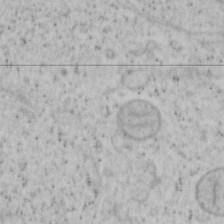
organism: Human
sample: HeLa cells